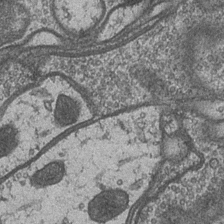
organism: Drosophila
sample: Optic medulla